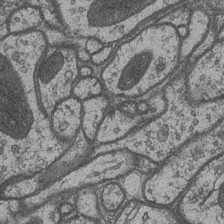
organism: Drosophila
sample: Optic medulla